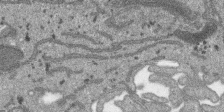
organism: Human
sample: Lung epithelial cells infected with SARS-CoV-2